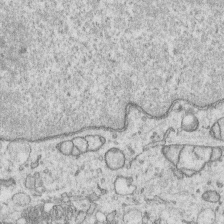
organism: Human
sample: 1205lu cells